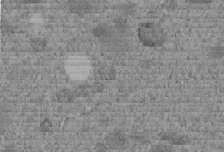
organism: C. elegans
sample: C. elegans embryo early stage